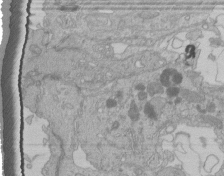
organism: Human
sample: Retinal organoid Rod and Cone cells